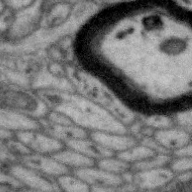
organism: Zebra finch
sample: Brain